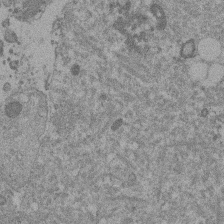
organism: Mouse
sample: Dividing mouse embryo 1 cell stage